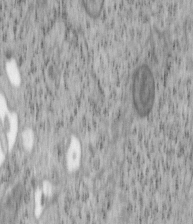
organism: Human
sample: HeLa cells